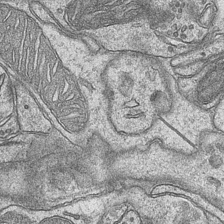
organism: Mouse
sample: CA1 Hippocampus